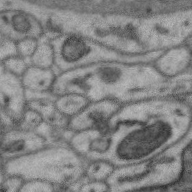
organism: Zebra finch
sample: Brain